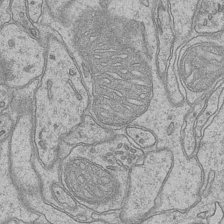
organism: Mouse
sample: CA1 Hippocampus